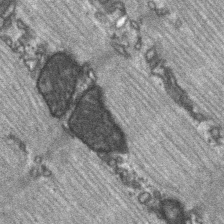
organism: C57BL Mouse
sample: Soleus